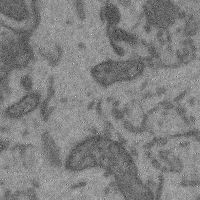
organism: Mouse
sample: Cerebral cortex